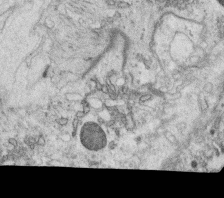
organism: C. elegans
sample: C. elegans oocyte; sperm cells